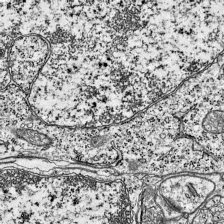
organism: Mouse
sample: Visual Cortex